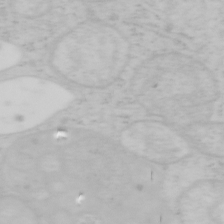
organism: Mouse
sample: OT-I killer T cells with ID8 ovarian cancer cells